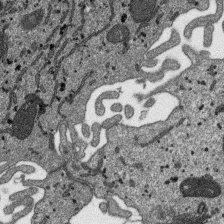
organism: Human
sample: Lung epithelial cells infected with SARS-CoV-2